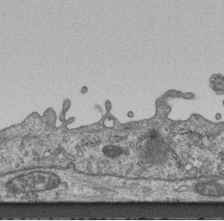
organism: Mouse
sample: Centriole in ependymal cells